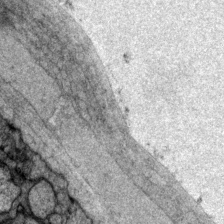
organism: P. pacificus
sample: Pharynx